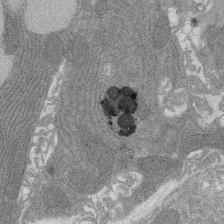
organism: Rat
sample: Salivary granule